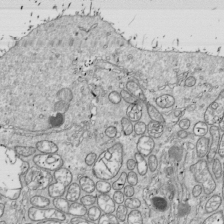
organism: Drosophila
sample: Cell division; meiosis; drosophila spermatocytes